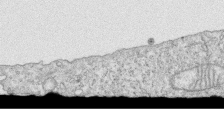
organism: Human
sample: HeLa cell HIV synapse